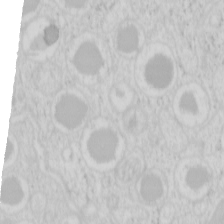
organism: Mouse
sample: Pancreas